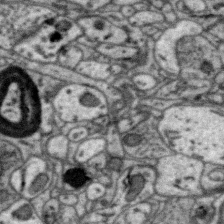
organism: Zebra finch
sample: Brain